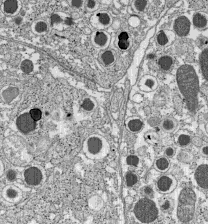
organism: C57BL Mouse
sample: Pancreatic islet